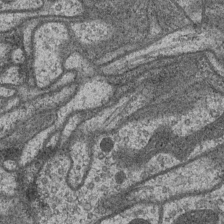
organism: Drosophila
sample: Optic medulla